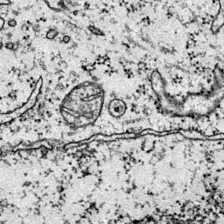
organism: Mouse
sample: Primary visual cortex